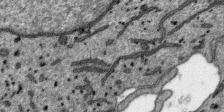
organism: Human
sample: Lung epithelial cells, uninfected (mock) control